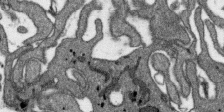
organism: Human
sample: Lung epithelial cells, uninfected (mock) control